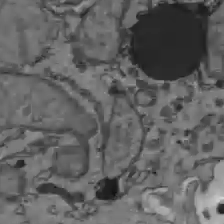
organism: C57BL Mouse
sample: Liver